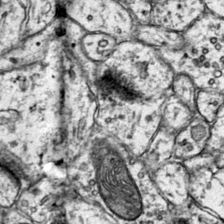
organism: Mouse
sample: Primary visual cortex